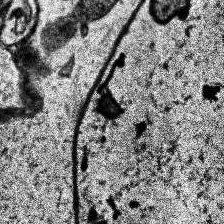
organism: Human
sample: Temporal Lobe